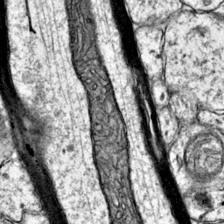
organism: Mouse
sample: Primary visual cortex